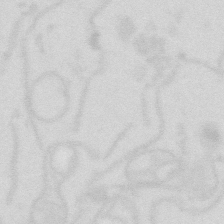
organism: Human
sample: HeLa cells